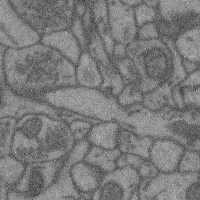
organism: Mouse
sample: Cerebral cortex